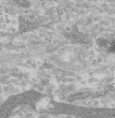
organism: Human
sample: Centriole in RPE cells